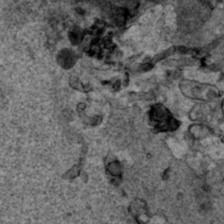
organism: Human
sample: Mitochondria in HCT116 cells